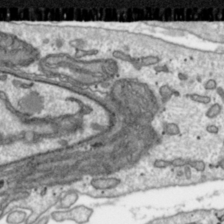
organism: Toxoplasma gondii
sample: Parasites in a vacuole inside a host cell